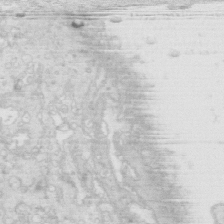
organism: Mouse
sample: Multiciliated cells